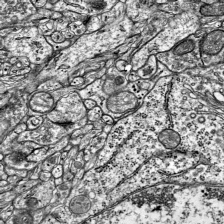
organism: Mouse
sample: Visual Cortex